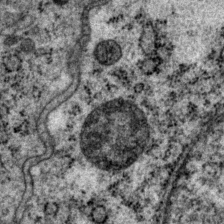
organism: P. pacificus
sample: Pharynx